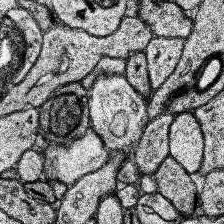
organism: Human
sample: Temporal Lobe